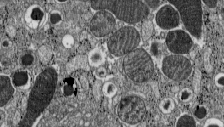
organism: C57BL Mouse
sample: Pancreatic islet